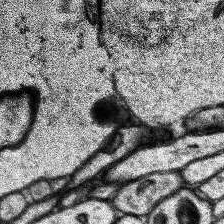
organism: Human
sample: Temporal Lobe